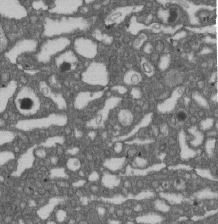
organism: Drosophila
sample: Nephrocyte